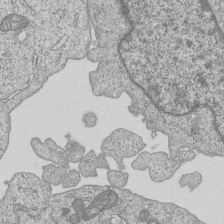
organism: Human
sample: MDA-MB-231 cells